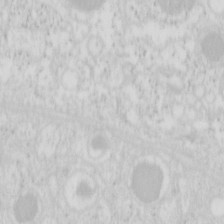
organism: Mouse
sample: Pancreas